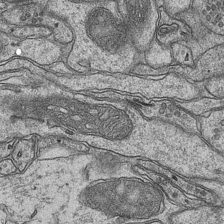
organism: Mouse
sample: CA1 Hippocampus